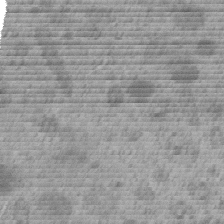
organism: C. elegans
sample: C. elegans embryo early stage